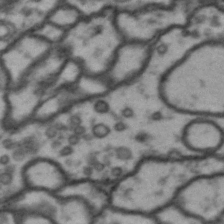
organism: Drosophila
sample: Brain